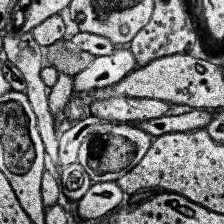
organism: Human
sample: Temporal Lobe